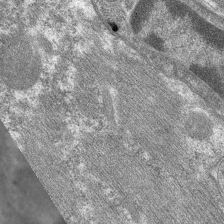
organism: C. elegans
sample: Pharynx